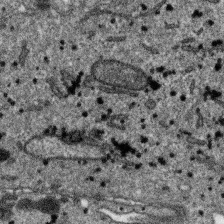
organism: Human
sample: Lung epithelial cells infected with SARS-CoV-2